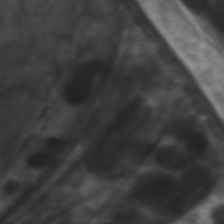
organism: C. elegans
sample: Pharynx